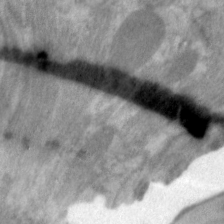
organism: C. elegans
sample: Pharynx